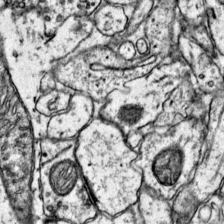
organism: Mouse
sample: Primary visual cortex